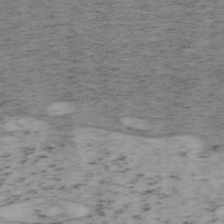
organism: Mouse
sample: OT-I killer T cells with ID8 ovarian cancer cells